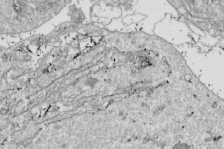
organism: Drosophila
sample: Cell division; meiosis; drosophila spermatocytes